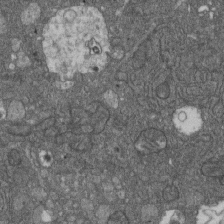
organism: Drosophila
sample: Nephrocyte